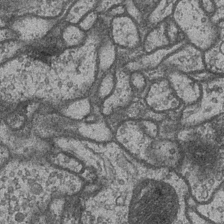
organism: Drosophila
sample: Optic medulla